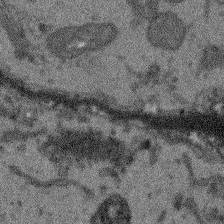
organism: Arabidopsis thaliana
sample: Root tip